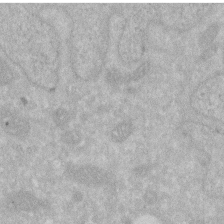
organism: Human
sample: HIV infected U937 cells